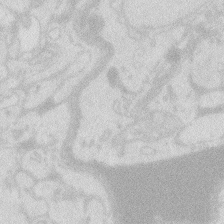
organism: Zebrafish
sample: Macrophage